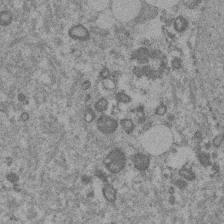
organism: Mouse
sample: Dividing mouse embryo 1 cell stage